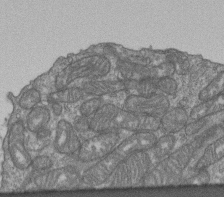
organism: Human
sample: Retinal organoid Rod and Cone cells